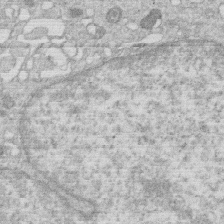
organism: Human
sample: Macrophage cells